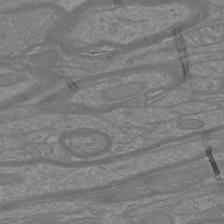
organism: Mouse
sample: Cortical neurons